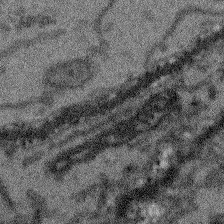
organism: Arabidopsis thaliana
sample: Root tip